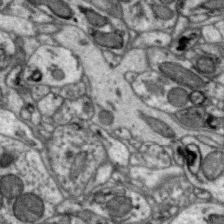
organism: Zebra finch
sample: Brain